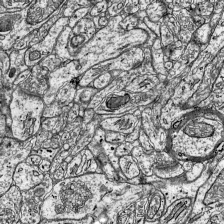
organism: Mouse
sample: Visual Cortex